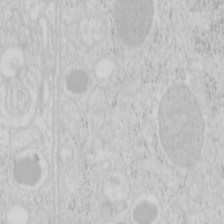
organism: Mouse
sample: Pancreas